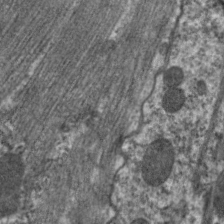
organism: C. elegans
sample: Pharynx